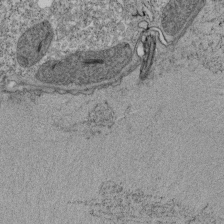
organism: Tetrahymena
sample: Cilia in tetrahymena